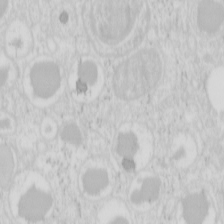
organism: Mouse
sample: Pancreas